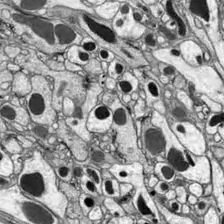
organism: Drosophila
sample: Optic lobe